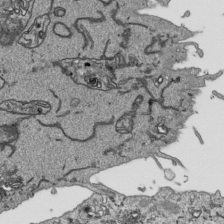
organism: Human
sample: Mitochondria in HCT116 cells